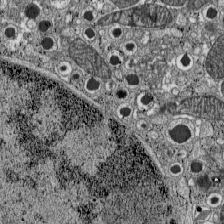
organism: C57BL Mouse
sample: Pancreatic islet